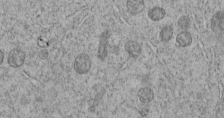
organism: C. elegans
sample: C. elegans embryo early stage